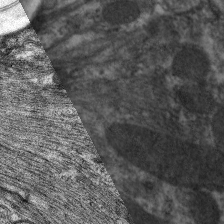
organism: C. elegans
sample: Pharynx